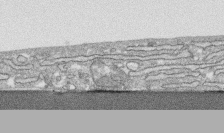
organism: Human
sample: CRL-1474